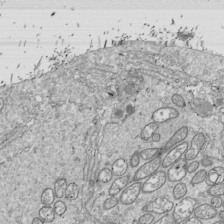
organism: Drosophila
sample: Cell division; meiosis; drosophila spermatocytes